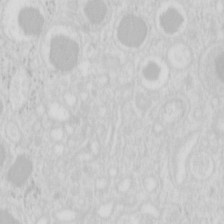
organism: Mouse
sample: Pancreas